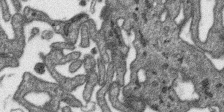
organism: Human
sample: Lung epithelial cells infected with SARS-CoV-2